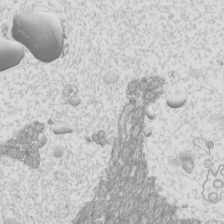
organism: Mouse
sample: Cilia; mouse epididymis